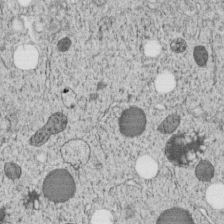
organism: C. elegans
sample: C. elegans embryo early stage